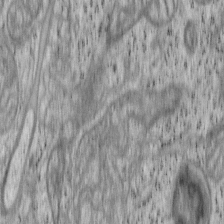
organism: Human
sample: HeLa cells